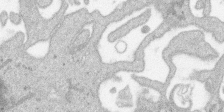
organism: Human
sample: Lung epithelial cells infected with SARS-CoV-2